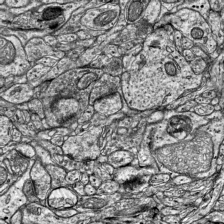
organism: Mouse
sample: Visual Cortex